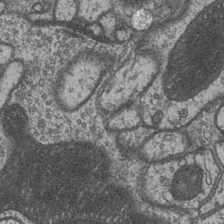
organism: Drosophila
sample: Optic medulla